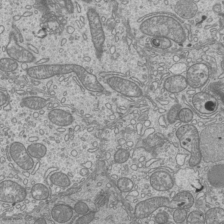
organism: Mouse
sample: Cilia; mouse epididymis